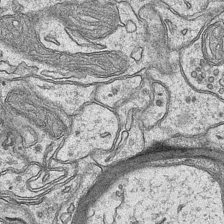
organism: Mouse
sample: CA1 Hippocampus